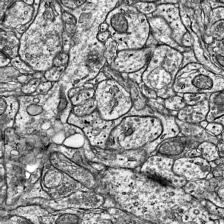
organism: Mouse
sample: Visual Cortex